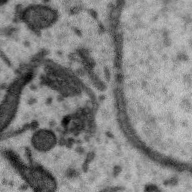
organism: Zebra finch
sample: Brain